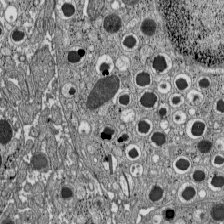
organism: C57BL Mouse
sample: Pancreatic islet